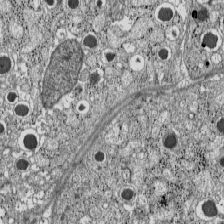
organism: C57BL Mouse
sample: Pancreatic islet